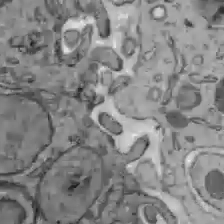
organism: C57BL Mouse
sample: Liver